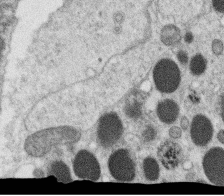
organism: C. elegans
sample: C. elegans oocyte; sperm cells